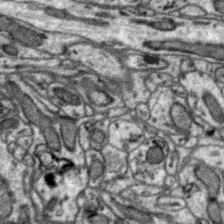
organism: Zebra finch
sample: Brain